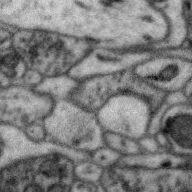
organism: Zebra finch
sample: Brain